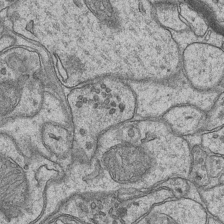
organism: Mouse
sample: CA1 Hippocampus